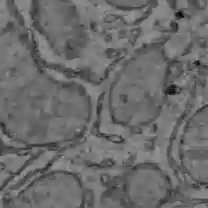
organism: C57BL Mouse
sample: Liver